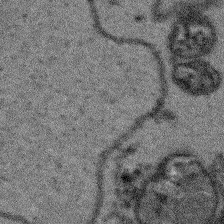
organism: Arabidopsis thaliana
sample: Root tip